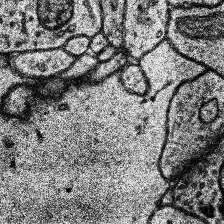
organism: Human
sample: Temporal Lobe